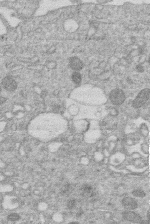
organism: Human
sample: Macrophage cells